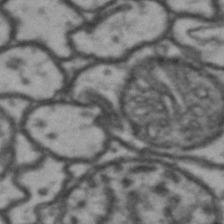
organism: Drosophila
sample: Brain